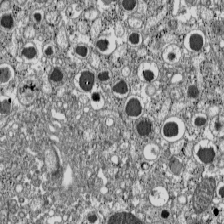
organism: C57BL Mouse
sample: Pancreatic islet